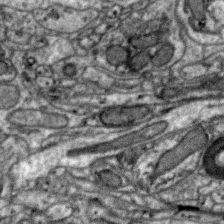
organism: Zebra finch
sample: Brain